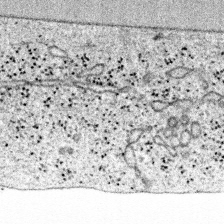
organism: Human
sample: HeLa cells